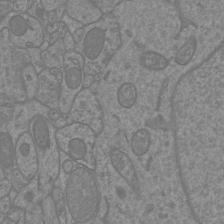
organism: Mouse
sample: Cortical neurons